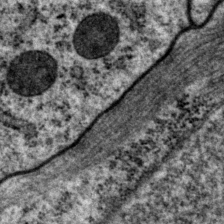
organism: P. pacificus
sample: Pharynx